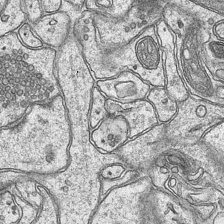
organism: Mouse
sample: CA1 Hippocampus